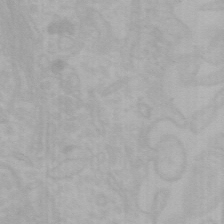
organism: Mouse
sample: Choroid plexus